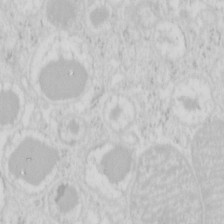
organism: Mouse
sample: Pancreas